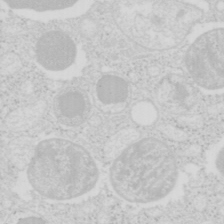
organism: Mouse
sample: Pancreas